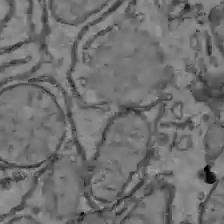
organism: C57BL Mouse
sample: Liver